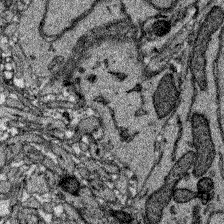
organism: Zebrafish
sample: Larval olfactory bulb